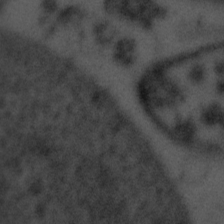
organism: Tuwongella immobilis